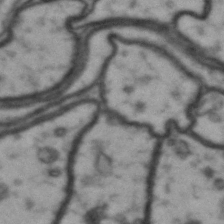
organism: Drosophila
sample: Brain